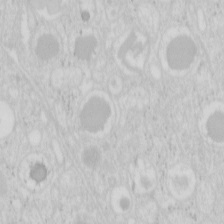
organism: Mouse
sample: Pancreas